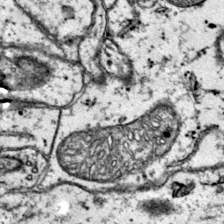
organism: Mouse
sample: Primary visual cortex